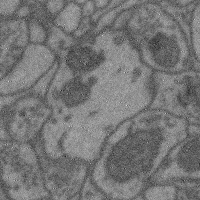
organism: Mouse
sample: Cerebral cortex